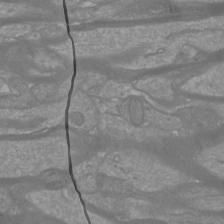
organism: Mouse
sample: Cortical neurons